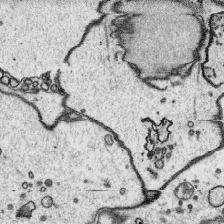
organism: Platynereis dumerilii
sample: Parapodia